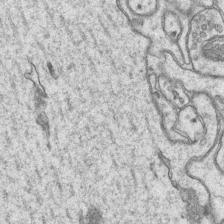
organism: Mouse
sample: CA1 Hippocampus